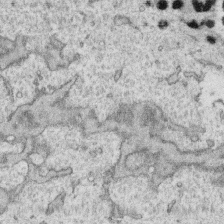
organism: Human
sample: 1205lu cells